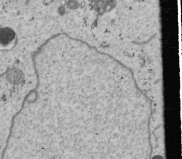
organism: Human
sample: Mitochondria in U2OS cells